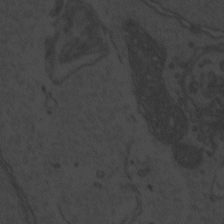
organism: Zebrafish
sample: Macrophage infected with Toxoplasma gondii